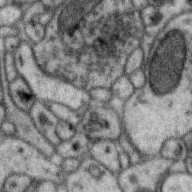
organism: Zebra finch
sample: Brain